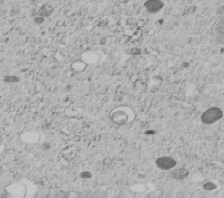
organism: C. elegans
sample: C. elegans embryo early stage